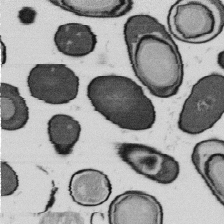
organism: B. subtilis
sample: Bacterial spore